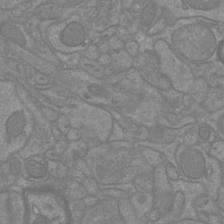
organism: Mouse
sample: Cortical neurons